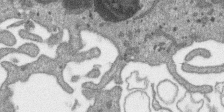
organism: Human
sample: Lung epithelial cells infected with SARS-CoV-2